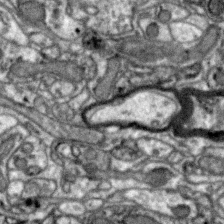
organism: Zebra finch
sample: Brain